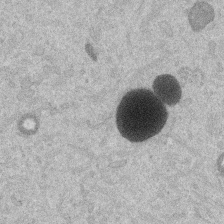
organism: Mouse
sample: Dividing mouse embryo 1 cell stage